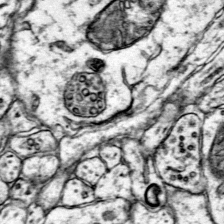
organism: Mouse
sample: Primary visual cortex